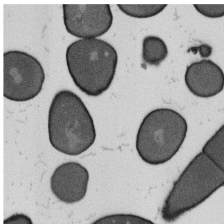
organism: B. subtilis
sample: Bacterial spore